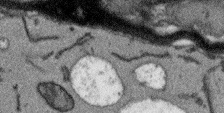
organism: Arabidopsis thaliana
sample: Root tip